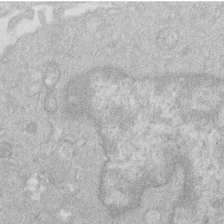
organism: Human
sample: Macrophage cells